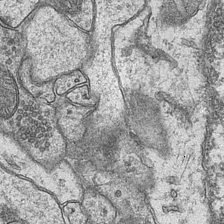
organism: Mouse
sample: CA1 Hippocampus